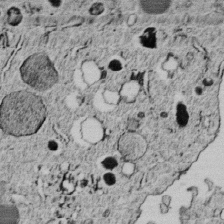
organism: C. elegans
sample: C. elegans embryo early stage